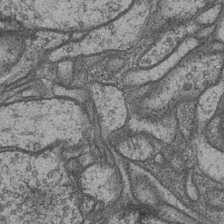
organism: Drosophila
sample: Optic medulla